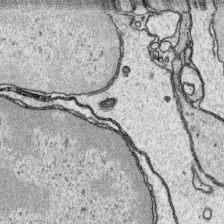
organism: Platynereis dumerilii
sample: Parapodia